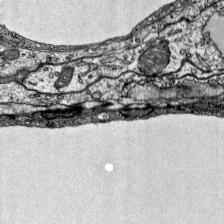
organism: Mouse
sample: Visual Cortex